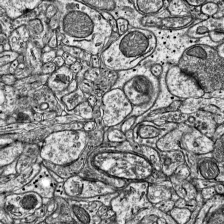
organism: Mouse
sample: Visual Cortex